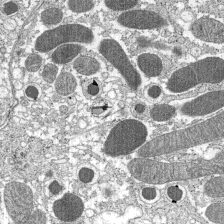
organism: C57BL Mouse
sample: Pancreatic islet